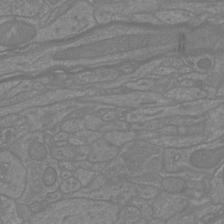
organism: Mouse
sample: Cortical neurons